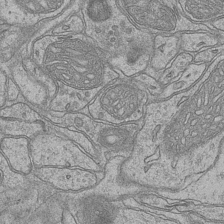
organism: Mouse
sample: CA1 Hippocampus